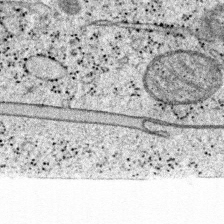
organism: Human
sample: HeLa cells